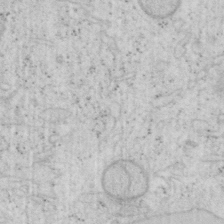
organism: Human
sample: HeLa cells